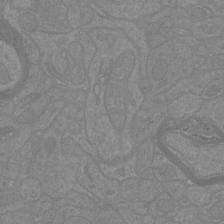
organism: Mouse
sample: Cortical neurons